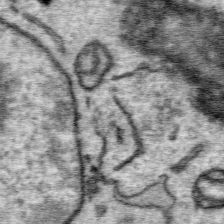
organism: Human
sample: HeLa cells